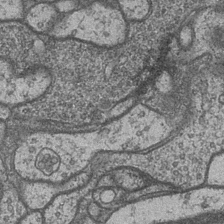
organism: Drosophila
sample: Optic medulla